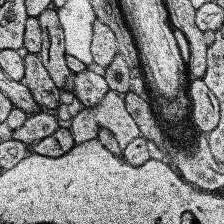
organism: Human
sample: Temporal Lobe